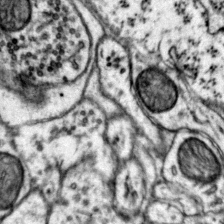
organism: Mouse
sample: Primary visual cortex